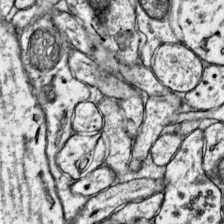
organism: Mouse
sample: Primary visual cortex